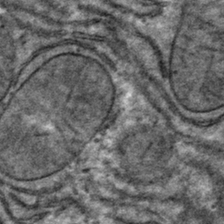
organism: Mouse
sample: Mouse hepatocytes